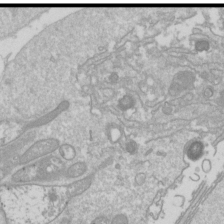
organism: Drosophila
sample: Cell division; meiosis; drosophila spermatocytes